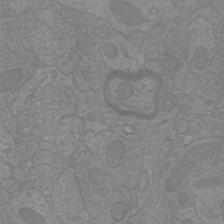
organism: Mouse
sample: Cortical neurons